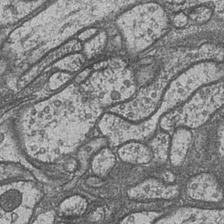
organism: Drosophila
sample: Optic medulla